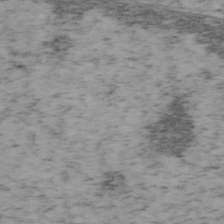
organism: Mouse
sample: OT-I killer T cells with ID8 ovarian cancer cells